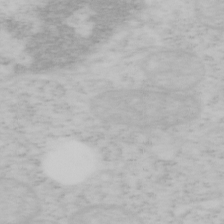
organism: Mouse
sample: OT-I killer T cells with ID8 ovarian cancer cells